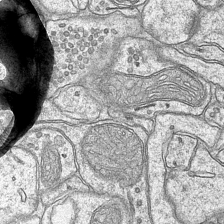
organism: Mouse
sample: CA1 Hippocampus